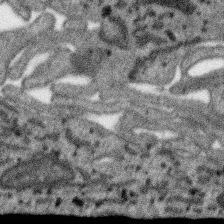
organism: Human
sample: Lung epithelial cells infected with SARS-CoV-2